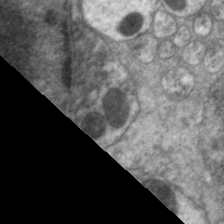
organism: C. elegans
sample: Pharynx